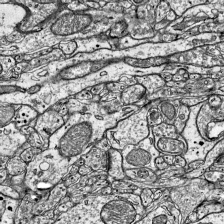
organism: Mouse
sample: Visual Cortex